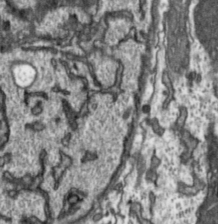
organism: Toxoplasma gondii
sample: Parasites in a vacuole inside a host cell